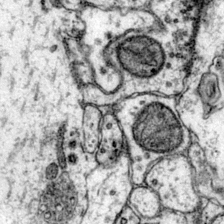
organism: Mouse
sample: Primary visual cortex